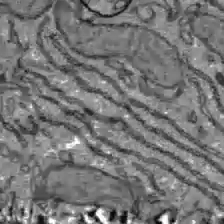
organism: C57BL Mouse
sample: Liver